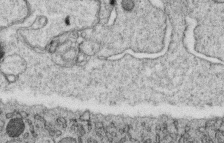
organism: C. elegans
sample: C. elegans oocyte; sperm cells